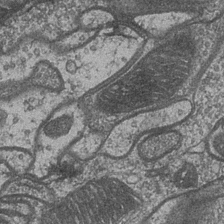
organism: Drosophila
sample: Optic medulla